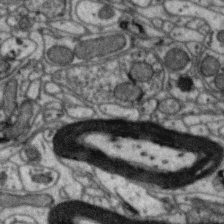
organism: Zebra finch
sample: Brain